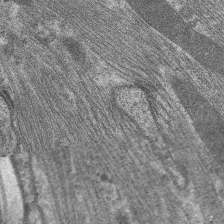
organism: C. elegans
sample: Pharynx